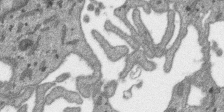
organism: Human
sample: Lung epithelial cells infected with SARS-CoV-2